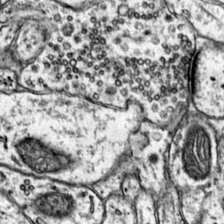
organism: Mouse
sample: Primary visual cortex